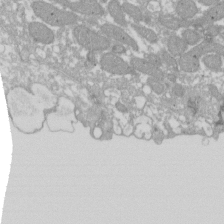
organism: Xenopus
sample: Cilia; centrioles in frog embryo cells